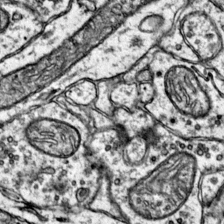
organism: Mouse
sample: Primary visual cortex